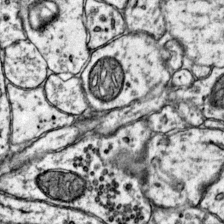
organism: Mouse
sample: Primary visual cortex